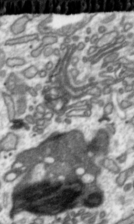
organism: Toxoplasma gondii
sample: Parasites in a vacuole inside a host cell